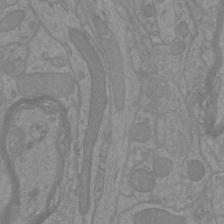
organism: Mouse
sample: Cortical neurons